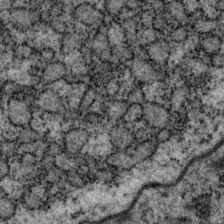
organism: P. pacificus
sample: Pharynx